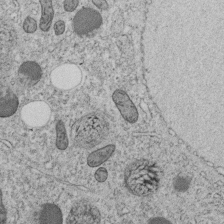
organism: C. elegans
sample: C. elegans embryo early stage